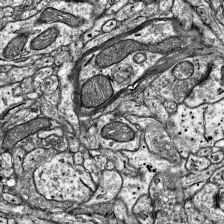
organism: Mouse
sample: Visual Cortex